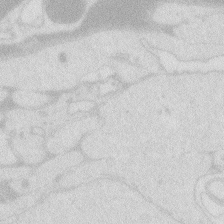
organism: Zebrafish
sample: Macrophage